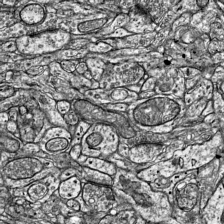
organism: Mouse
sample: Visual Cortex